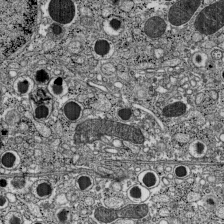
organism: C57BL Mouse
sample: Pancreatic islet